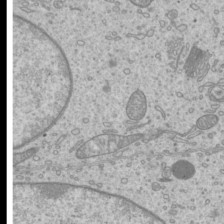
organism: Mouse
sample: Cilia; mouse epididymis